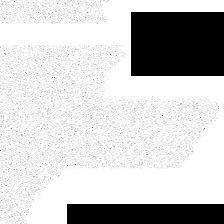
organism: Spongilla lacustris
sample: Neuroid cell